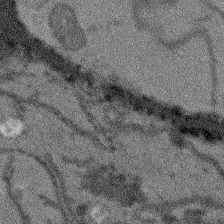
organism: Arabidopsis thaliana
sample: Root tip